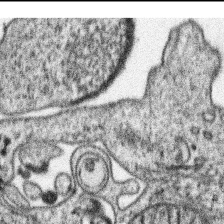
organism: Human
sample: HeLa cells